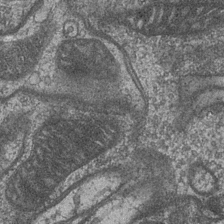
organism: Drosophila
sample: Optic medulla